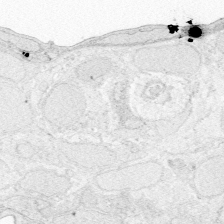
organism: Zebrafish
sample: Whole-Brain